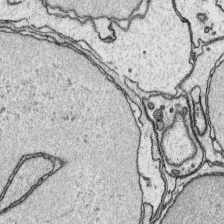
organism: Platynereis dumerilii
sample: Parapodia